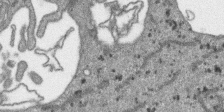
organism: Human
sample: Lung epithelial cells infected with SARS-CoV-2